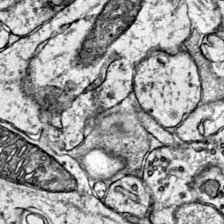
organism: Mouse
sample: Primary visual cortex